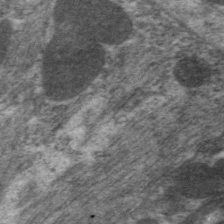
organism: C. elegans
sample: Pharynx